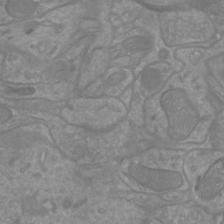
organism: Mouse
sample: Cortical neurons